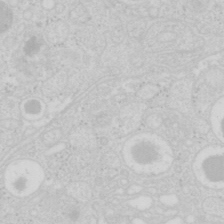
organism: Mouse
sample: Pancreas